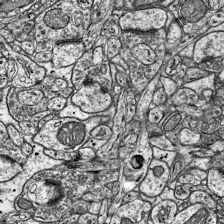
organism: Mouse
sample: Visual Cortex